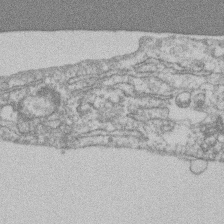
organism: Mouse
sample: T cell stromal cell synapse